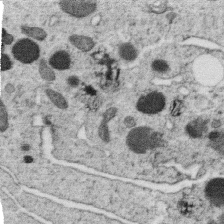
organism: C. elegans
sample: C. elegans oocyte; sperm cells